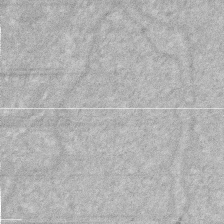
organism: Human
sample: HIV infected U937 cells